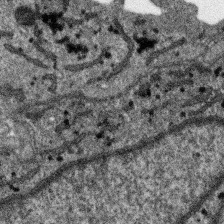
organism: Human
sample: Lung epithelial cells infected with SARS-CoV-2